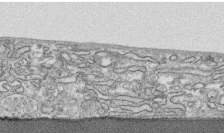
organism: Human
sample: CRL-1474